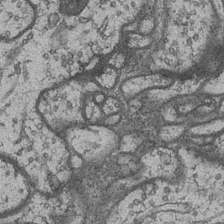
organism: Drosophila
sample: Optic medulla